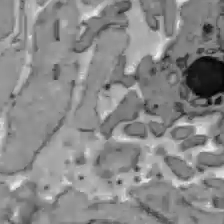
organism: C57BL Mouse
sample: Liver